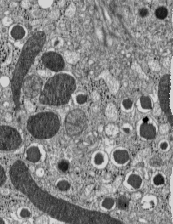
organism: C57BL Mouse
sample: Pancreatic islet